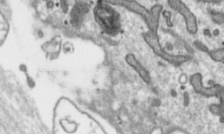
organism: Toxoplasma gondii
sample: Parasites in a vacuole inside a host cell